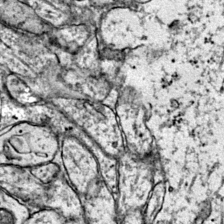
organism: Mouse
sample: Primary visual cortex